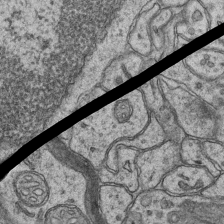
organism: Mouse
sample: CA1 Hippocampus